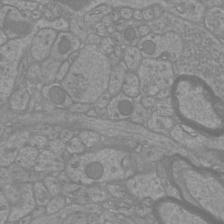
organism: Mouse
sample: Cortical neurons